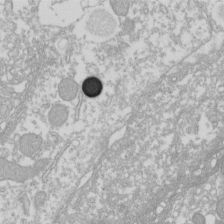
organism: Xenopus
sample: Cilia; centrioles in frog embryo cells